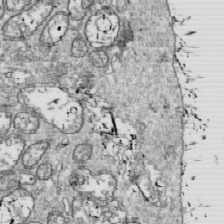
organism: Drosophila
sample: Cell division; meiosis; drosophila spermatocytes